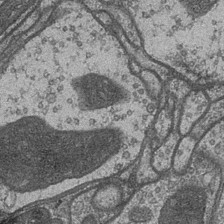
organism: Drosophila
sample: Optic medulla